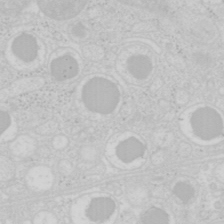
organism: Mouse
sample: Pancreas